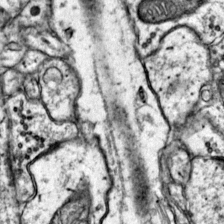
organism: Mouse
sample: Primary visual cortex